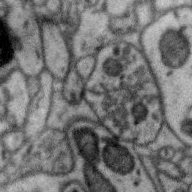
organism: Zebra finch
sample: Brain